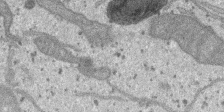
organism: Human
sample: Lung epithelial cells infected with SARS-CoV-2